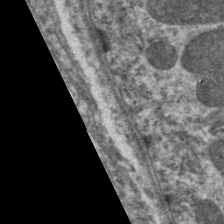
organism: C. elegans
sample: Pharynx